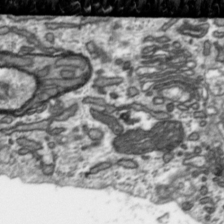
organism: Toxoplasma gondii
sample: Parasites in a vacuole inside a host cell